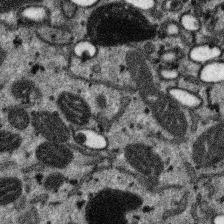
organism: Human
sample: Lung epithelial cells infected with SARS-CoV-2